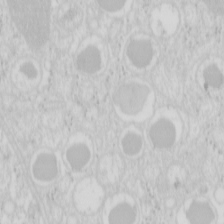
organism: Mouse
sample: Pancreas